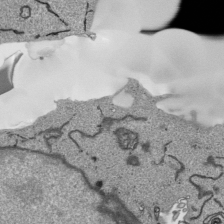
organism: Human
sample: Mitochondria in HCT116 cells